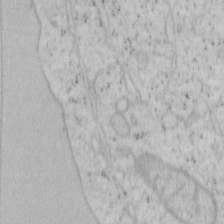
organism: Human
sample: HeLa cells